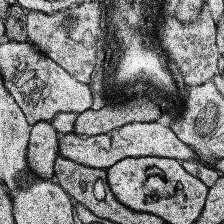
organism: Human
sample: Temporal Lobe